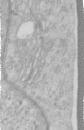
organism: Human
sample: Centriole in RPE cells